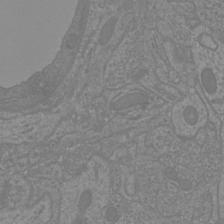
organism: Mouse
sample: Cortical neurons